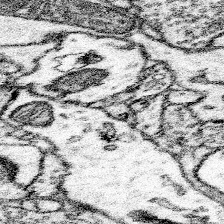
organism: Mouse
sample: Somatosensory cortex neuropil